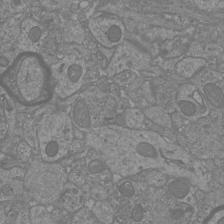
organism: Mouse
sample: Cortical neurons